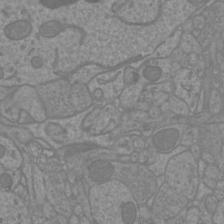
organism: Mouse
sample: Cortical neurons